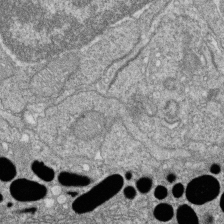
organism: Zebrafish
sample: Cilia; retinal pigment epithelium